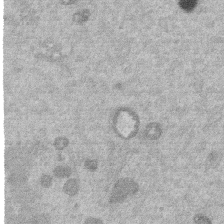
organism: Mouse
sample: Dividing mouse embryo 1 cell stage